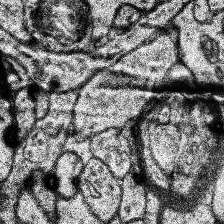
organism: Human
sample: Temporal Lobe